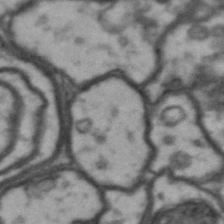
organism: Drosophila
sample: Brain